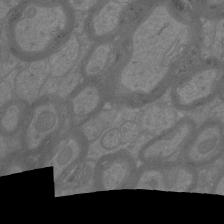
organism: Mouse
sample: Cortical neurons